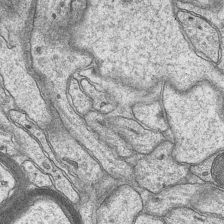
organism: Mouse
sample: CA1 Hippocampus